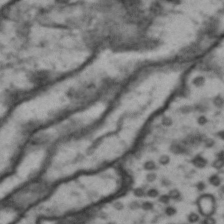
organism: Drosophila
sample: Brain